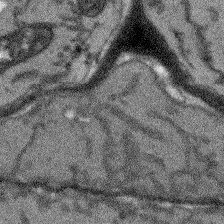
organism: Arabidopsis thaliana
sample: Root tip